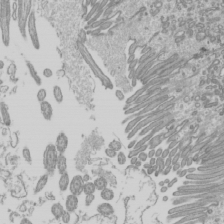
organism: Mouse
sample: Cilia; mouse epididymis